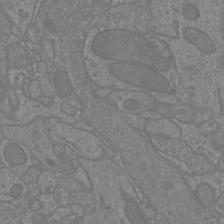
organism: Mouse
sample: Cortical neurons